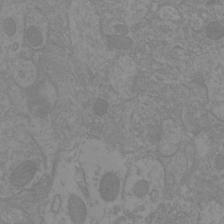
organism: Mouse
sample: Cortical neurons